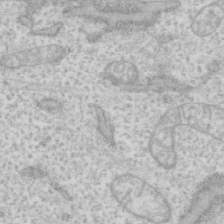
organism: Human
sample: Fibroblast cells